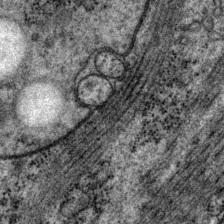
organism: P. pacificus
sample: Pharynx